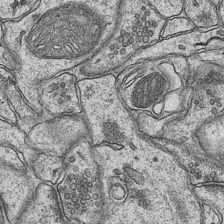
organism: Mouse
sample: CA1 Hippocampus